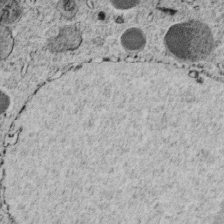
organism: C. elegans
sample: C. elegans embryo early stage